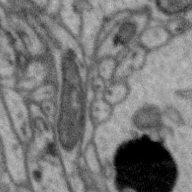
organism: Zebra finch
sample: Brain